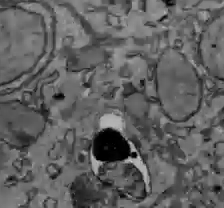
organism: C57BL Mouse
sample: Liver